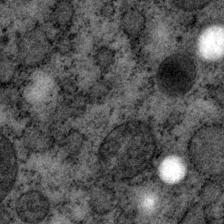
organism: P. pacificus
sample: Pharynx